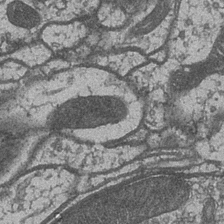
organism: Drosophila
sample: Optic medulla